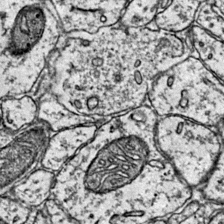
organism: Mouse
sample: Primary visual cortex